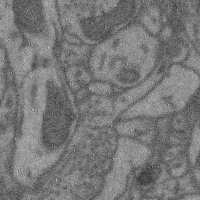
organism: Mouse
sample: Cerebral cortex